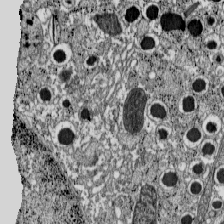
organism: C57BL Mouse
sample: Pancreatic islet